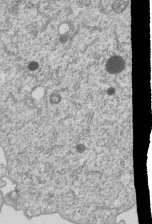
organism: Human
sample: MDA-MB-231 cells